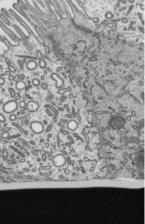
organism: Mouse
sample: Mouse epididymis efferent ductule cilia